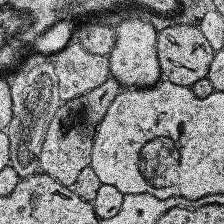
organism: Human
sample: Temporal Lobe